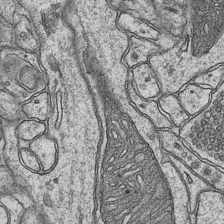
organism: Mouse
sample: CA1 Hippocampus